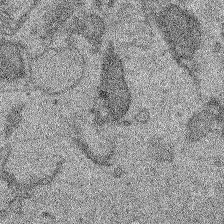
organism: Human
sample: HeLa cells